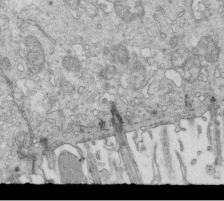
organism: Mouse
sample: Multiciliated cells